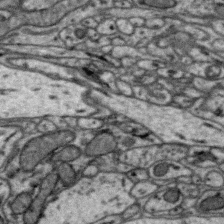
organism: Zebra finch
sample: Brain